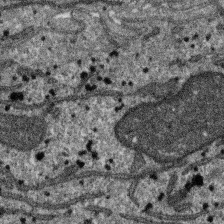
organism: Human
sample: Lung epithelial cells infected with SARS-CoV-2